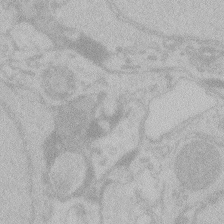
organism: Zebrafish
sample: Macrophage infected with Toxoplasma gondii